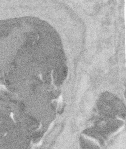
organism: Mouse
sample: T cell stromal cell synapse